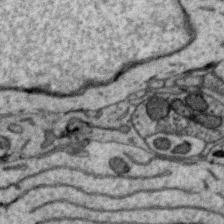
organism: Zebra finch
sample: Brain